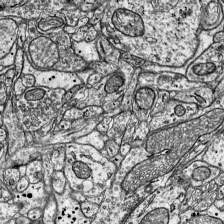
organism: Mouse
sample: Visual Cortex